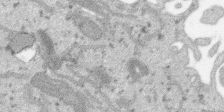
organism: Human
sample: Lung epithelial cells infected with SARS-CoV-2